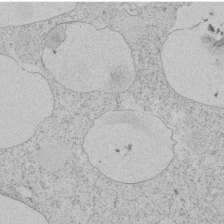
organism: Tetrahymena